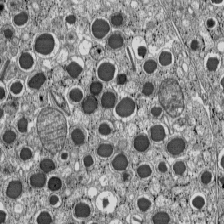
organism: C57BL Mouse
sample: Pancreatic islet